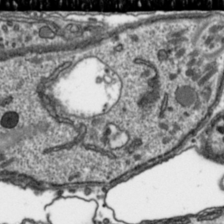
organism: Toxoplasma gondii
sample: Parasites in a vacuole inside a host cell